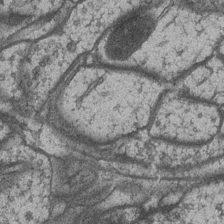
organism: Drosophila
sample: Optic medulla